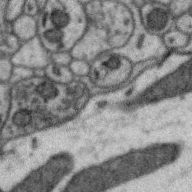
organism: Zebra finch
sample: Brain